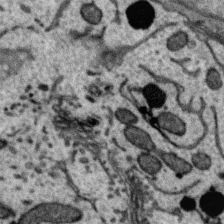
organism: Zebra finch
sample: Brain